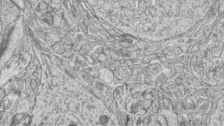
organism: Zebrafish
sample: synaptic ribbons in rod cells and cone cells